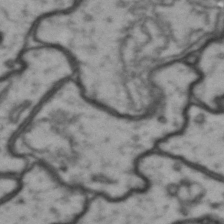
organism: Drosophila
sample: Brain